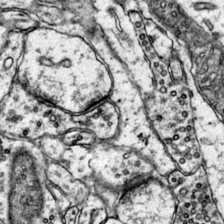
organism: Mouse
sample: Primary visual cortex